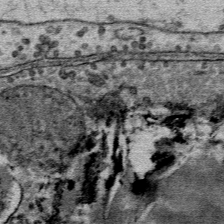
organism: Mouse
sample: Mouse Salivary gland